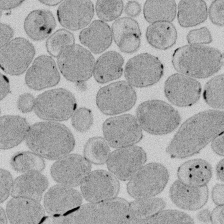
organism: E. coli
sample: Bacterial nucleoid